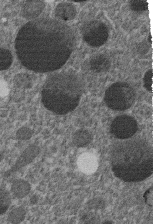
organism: C. elegans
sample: C. elegans embryo early stage